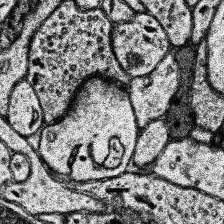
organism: Human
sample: Temporal Lobe